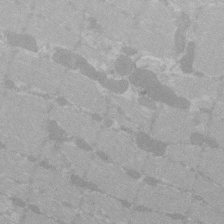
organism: C57BL Mouse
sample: Tibialis anterior muscle cell